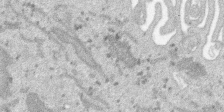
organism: Human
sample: Lung epithelial cells infected with SARS-CoV-2